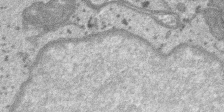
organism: Human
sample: Lung epithelial cells infected with SARS-CoV-2